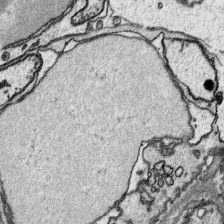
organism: Platynereis dumerilii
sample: Parapodia